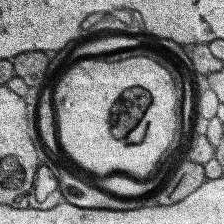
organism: Human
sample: Temporal Lobe